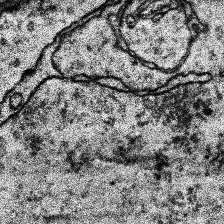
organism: Human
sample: Temporal Lobe